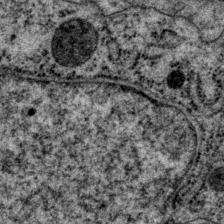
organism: P. pacificus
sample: Pharynx